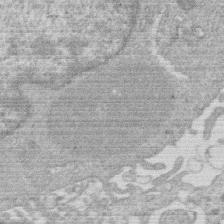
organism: Human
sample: Macrophage cells